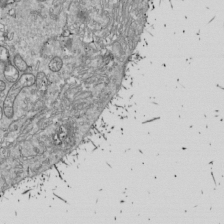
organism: Drosophila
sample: Cell division; meiosis; drosophila spermatocytes